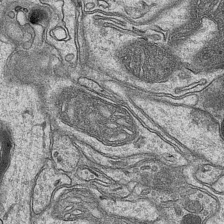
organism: Mouse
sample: CA1 Hippocampus